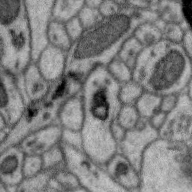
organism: Zebra finch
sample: Brain